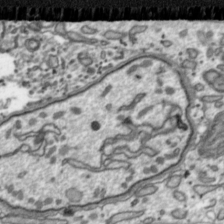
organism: Toxoplasma gondii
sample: Parasites in a vacuole inside a host cell